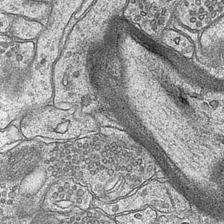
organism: Mouse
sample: CA1 Hippocampus